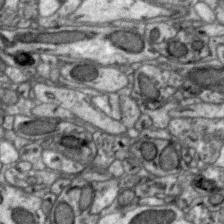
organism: Zebra finch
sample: Brain